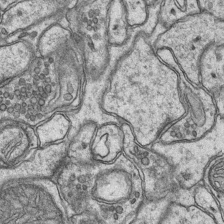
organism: Mouse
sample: CA1 Hippocampus